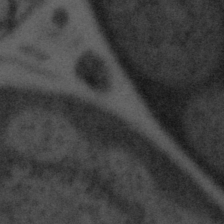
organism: Tuwongella immobilis